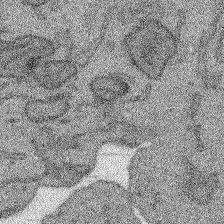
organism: Human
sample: HeLa cells